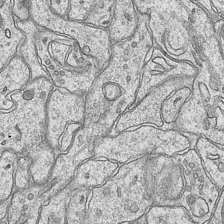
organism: Mouse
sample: CA1 Hippocampus